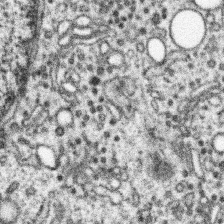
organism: Human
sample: HeLa cells